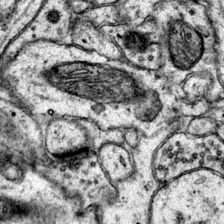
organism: Mouse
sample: Primary visual cortex